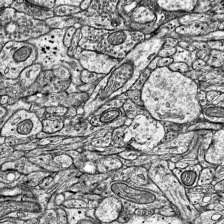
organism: Mouse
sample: Visual Cortex